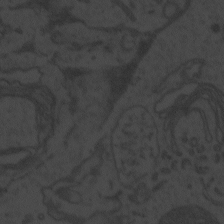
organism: Zebrafish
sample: Macrophage infected with Toxoplasma gondii